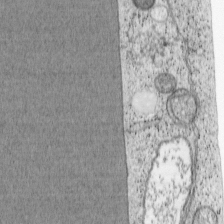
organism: African green monkey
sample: COS-7 cells